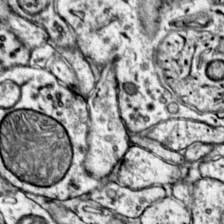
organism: Mouse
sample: Primary visual cortex